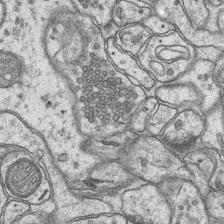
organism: Mouse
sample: CA1 Hippocampus